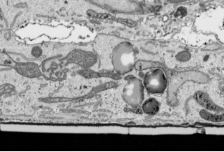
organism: Human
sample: Mitochondria in HCT116 cells